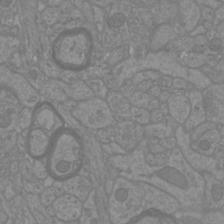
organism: Mouse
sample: Cortical neurons